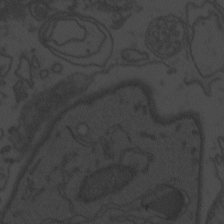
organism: Zebrafish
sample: Macrophage infected with Toxoplasma gondii